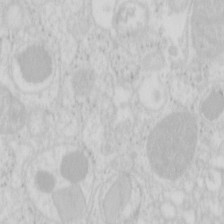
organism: Mouse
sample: Pancreas